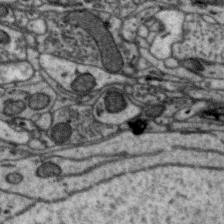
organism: Zebra finch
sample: Brain